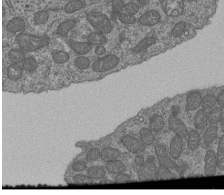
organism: Human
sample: Retinal organoid Rod and Cone cells